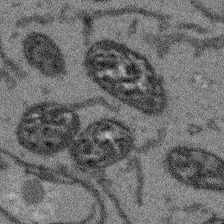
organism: Arabidopsis thaliana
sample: Root tip